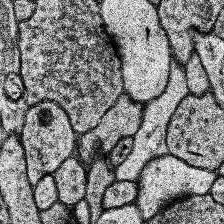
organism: Human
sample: Temporal Lobe